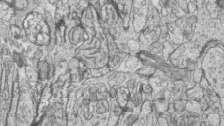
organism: Zebrafish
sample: synaptic ribbons in rod cells and cone cells